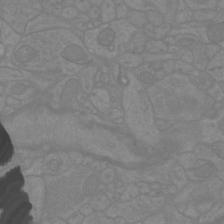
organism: Mouse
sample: Cortical neurons